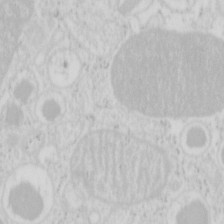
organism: Mouse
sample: Pancreas